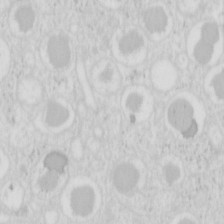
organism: Mouse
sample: Pancreas